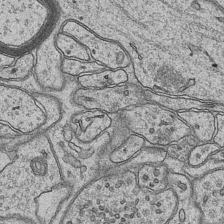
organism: Mouse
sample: CA1 Hippocampus